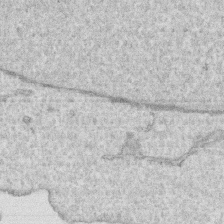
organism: Human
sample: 1205lu cells